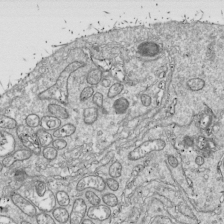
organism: Drosophila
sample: Cell division; meiosis; drosophila spermatocytes